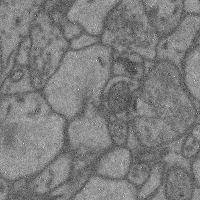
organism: Mouse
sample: Cerebral cortex